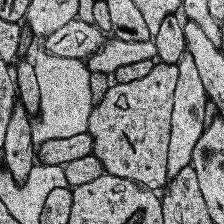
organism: Human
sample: Temporal Lobe